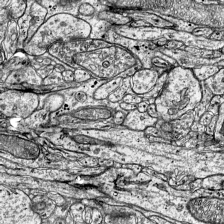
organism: Mouse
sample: Visual Cortex